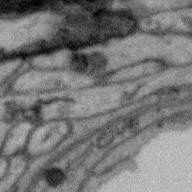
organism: Zebra finch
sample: Brain